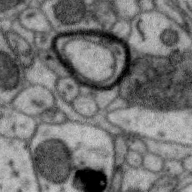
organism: Zebra finch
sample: Brain